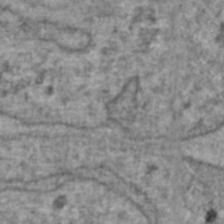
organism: Human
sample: Blood